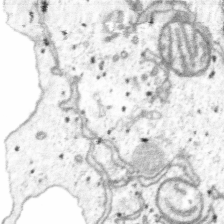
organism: Human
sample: HeLa cells